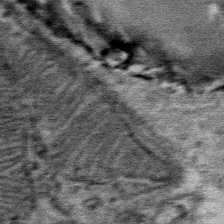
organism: Mouse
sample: Mouse Salivary gland